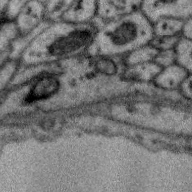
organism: Zebra finch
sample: Brain